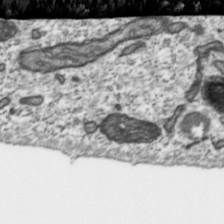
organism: Toxoplasma gondii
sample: Parasites in a vacuole inside a host cell